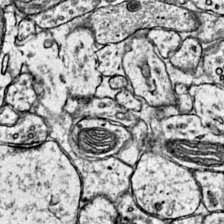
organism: Mouse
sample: Primary visual cortex